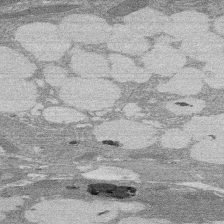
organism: Rat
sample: Salivary granule